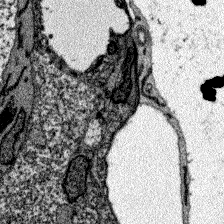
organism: Zebrafish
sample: Larval olfactory bulb